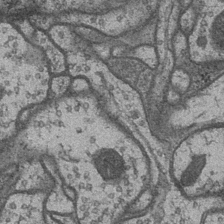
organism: Drosophila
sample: Optic medulla